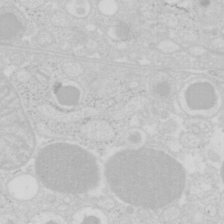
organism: Mouse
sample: Pancreas